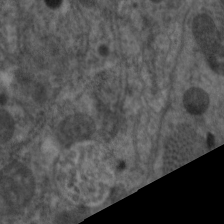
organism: C. elegans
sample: Pharynx